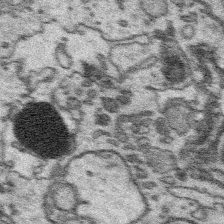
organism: Platynereis dumerilii